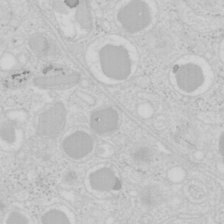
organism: Mouse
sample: Pancreas